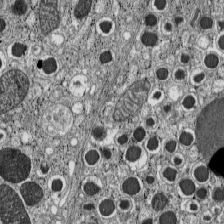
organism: C57BL Mouse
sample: Pancreatic islet